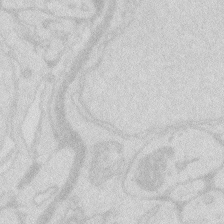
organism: Zebrafish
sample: Macrophage